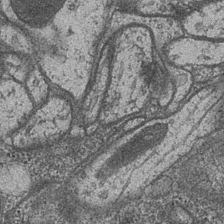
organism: Drosophila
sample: Optic medulla